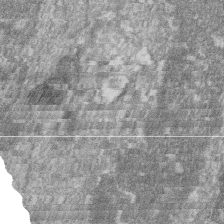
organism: Zebrafish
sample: Cilia; retinal pigment epithelium